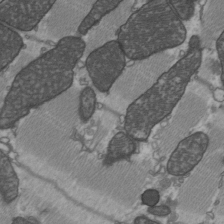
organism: C57BL Mouse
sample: Heart